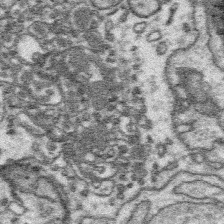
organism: Platynereis dumerilii